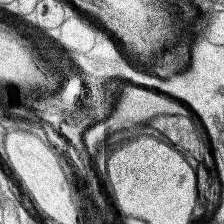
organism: Human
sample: Temporal Lobe